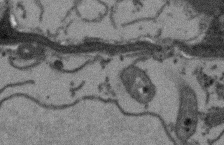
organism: Arabidopsis thaliana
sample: Root tip